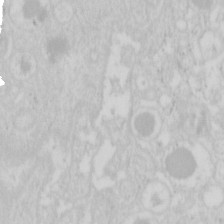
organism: Mouse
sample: Pancreas